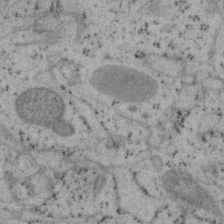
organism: Human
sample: HeLa cells